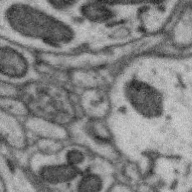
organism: Zebra finch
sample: Brain